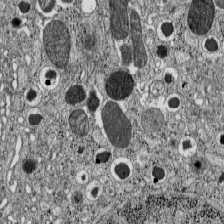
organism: C57BL Mouse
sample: Pancreatic islet